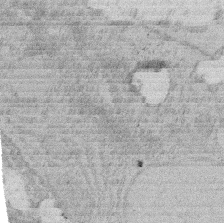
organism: Rat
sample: Salivary granule